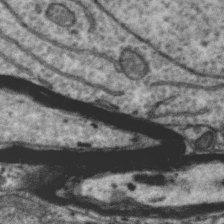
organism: Zebra finch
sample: Brain